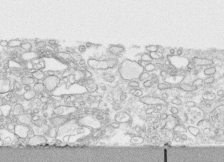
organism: Human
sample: CRL-1474